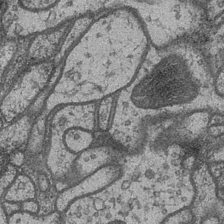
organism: Drosophila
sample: Optic medulla